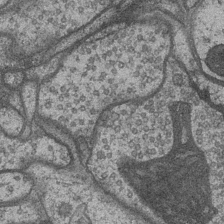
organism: Drosophila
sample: Optic medulla